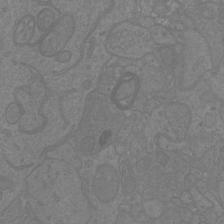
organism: Mouse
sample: Cortical neurons